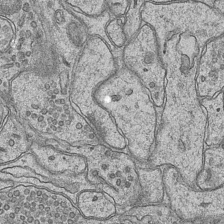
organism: Mouse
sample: CA1 Hippocampus